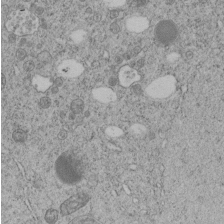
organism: C. elegans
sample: C. elegans embryo early stage